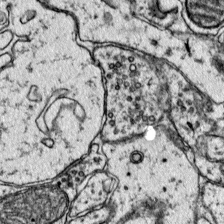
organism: Mouse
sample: Primary visual cortex